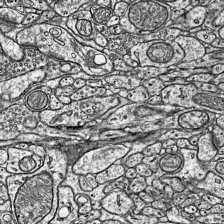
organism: Mouse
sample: Visual Cortex